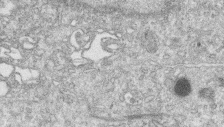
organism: Human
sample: HeLa cell HIV synapse